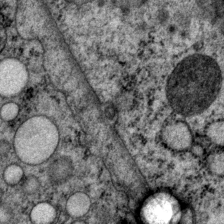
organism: P. pacificus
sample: Pharynx